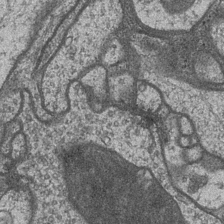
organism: Drosophila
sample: Optic medulla